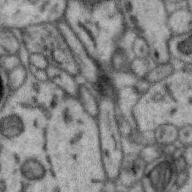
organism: Zebra finch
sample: Brain